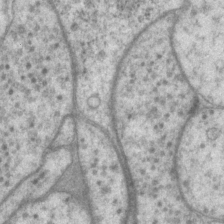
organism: P. pacificus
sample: Pharynx